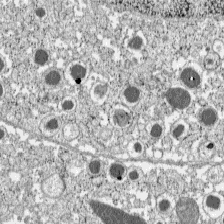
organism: C57BL Mouse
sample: Pancreatic islet